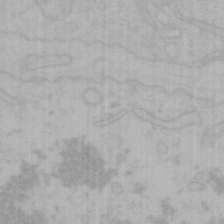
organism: Mouse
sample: Choroid plexus